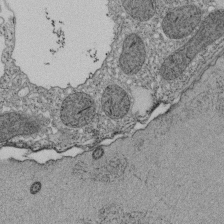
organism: Tetrahymena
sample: Cilia in tetrahymena